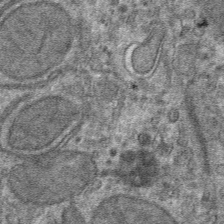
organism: Mouse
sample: Mouse hepatocytes